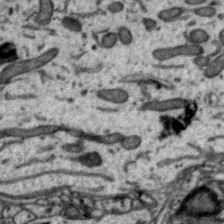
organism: Zebra finch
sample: Brain